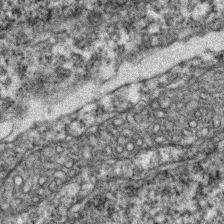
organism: Zebrafish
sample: Zebrafish embryo